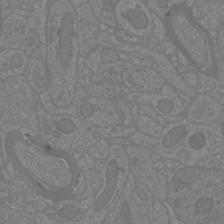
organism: Mouse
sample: Cortical neurons